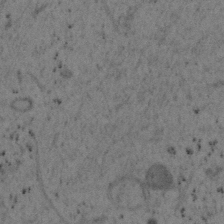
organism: Human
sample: HeLa cells